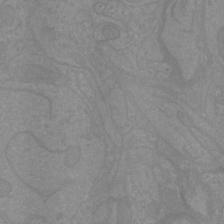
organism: Mouse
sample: Cortical neurons